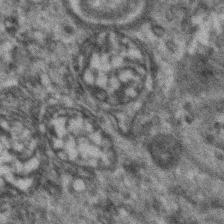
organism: Zebrafish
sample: Zebrafish embryo